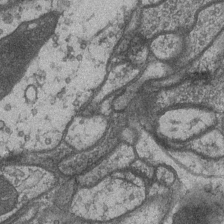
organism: Drosophila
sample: Optic medulla